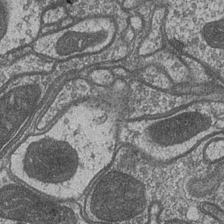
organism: Drosophila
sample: Optic medulla